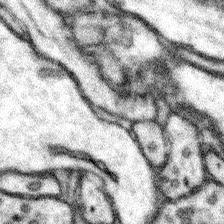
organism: Mouse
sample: Somatosensory cortex neuropil